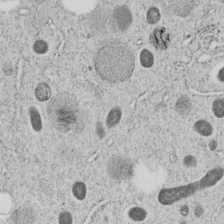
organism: C. elegans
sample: C. elegans embryo early stage